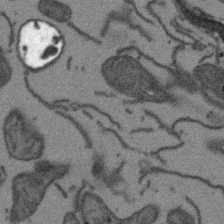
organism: Arabidopsis thaliana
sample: Root tip